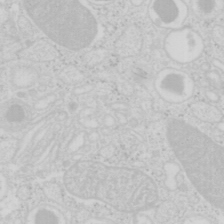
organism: Mouse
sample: Pancreas